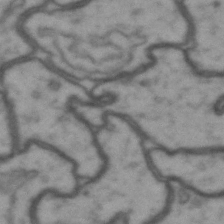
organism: Drosophila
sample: Brain